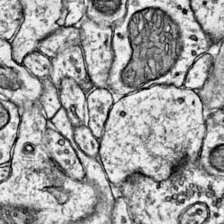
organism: Mouse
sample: Primary visual cortex